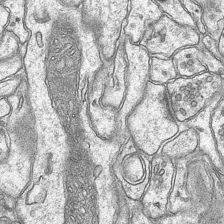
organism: Mouse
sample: CA1 Hippocampus